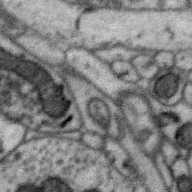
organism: Zebra finch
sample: Brain